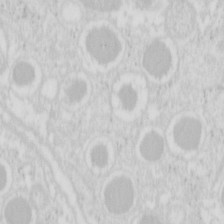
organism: Mouse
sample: Pancreas